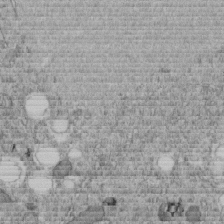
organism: C. elegans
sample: C. elegans embryo early stage